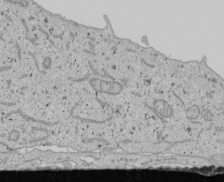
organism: Human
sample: Mitochondria in U2OS cells